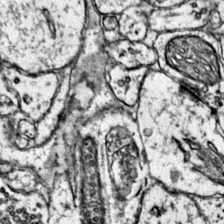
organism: Mouse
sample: Primary visual cortex